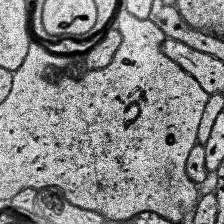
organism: Human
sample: Temporal Lobe